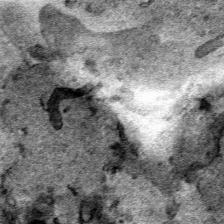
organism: Human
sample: Mitochondria in HCT116 cells